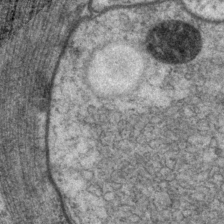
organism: P. pacificus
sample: Pharynx